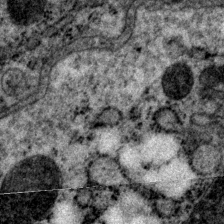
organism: P. pacificus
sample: Pharynx